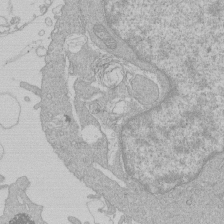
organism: Human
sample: Macrophage cells